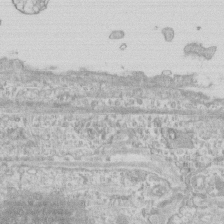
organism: Human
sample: CRL-1474